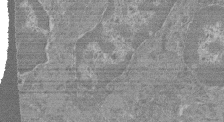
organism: Mouse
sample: Glomerulus